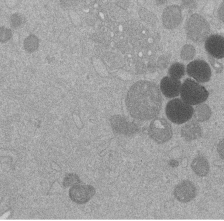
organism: Mouse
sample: Dividing mouse embryo 1 cell stage